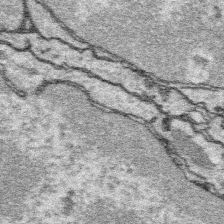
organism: Platynereis dumerilii